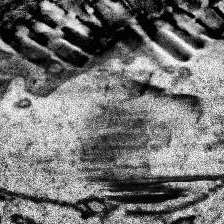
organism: Human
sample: Temporal Lobe